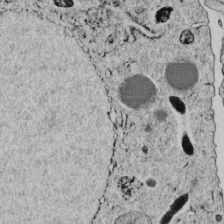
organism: C. elegans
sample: C. elegans embryo early stage